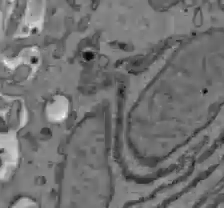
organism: C57BL Mouse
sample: Liver